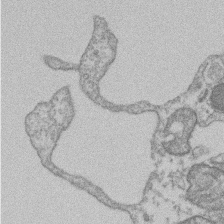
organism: Mouse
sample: T cell stromal cell synapse